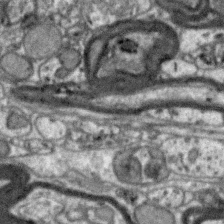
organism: Zebra finch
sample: Brain